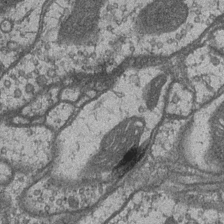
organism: Drosophila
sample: Optic medulla